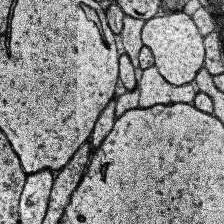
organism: Human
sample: Temporal Lobe